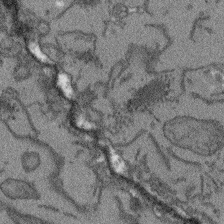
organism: Arabidopsis thaliana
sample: Root tip